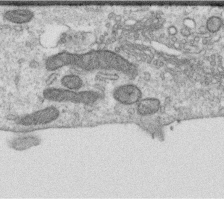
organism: Human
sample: Centriole in RPE cells